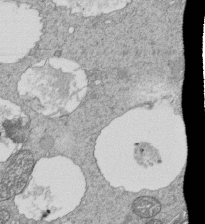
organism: Tetrahymena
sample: Cilia in tetrahymena